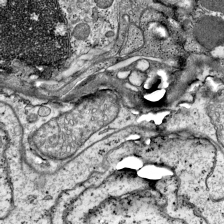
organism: Mouse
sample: Visual Cortex